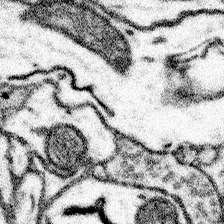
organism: Mouse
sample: Somatosensory cortex neuropil